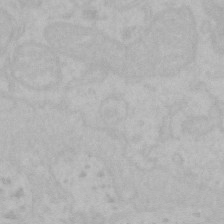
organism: Mouse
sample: Choroid plexus